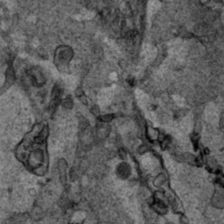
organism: Human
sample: Mitochondria in HCT116 cells